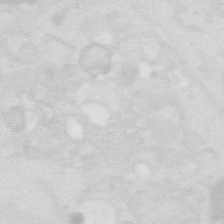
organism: Human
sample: HeLa cells